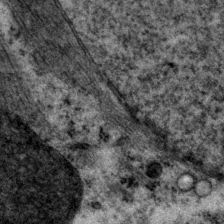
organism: P. pacificus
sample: Pharynx